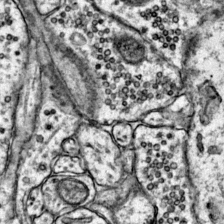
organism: Mouse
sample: Primary visual cortex